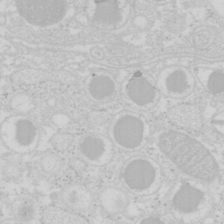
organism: Mouse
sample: Pancreas